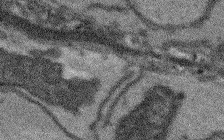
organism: Arabidopsis thaliana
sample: Root tip